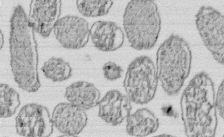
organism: E. coli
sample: Bacterial nucleoid